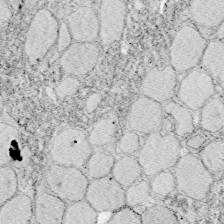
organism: Zebrafish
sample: Whole-Brain